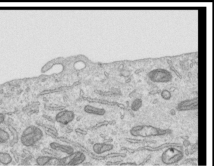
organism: Human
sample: Centriole in RPE cells